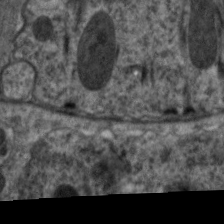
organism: C. elegans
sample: Pharynx